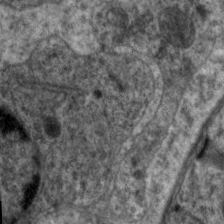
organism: C. elegans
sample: Pharynx